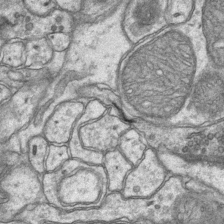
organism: Mouse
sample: CA1 Hippocampus